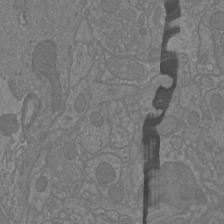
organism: Mouse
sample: Cortical neurons